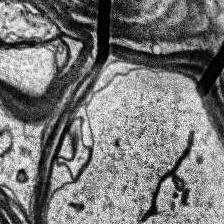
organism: Human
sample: Temporal Lobe